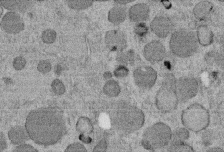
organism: C. elegans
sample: C. elegans embryo early stage